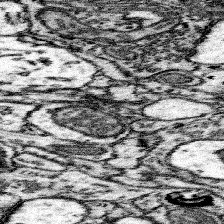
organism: Mouse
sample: Somatosensory cortex neuropil